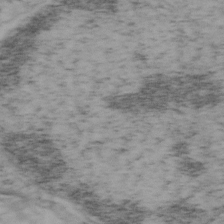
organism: Mouse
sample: OT-I killer T cells with ID8 ovarian cancer cells